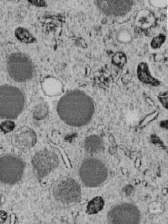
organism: C. elegans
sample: C. elegans embryo early stage